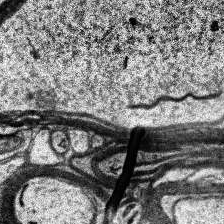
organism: Human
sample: Temporal Lobe